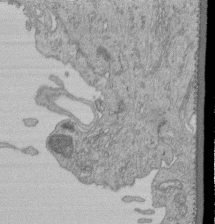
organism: Human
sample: Retinal organoid Rod and Cone cells